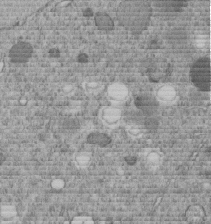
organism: C. elegans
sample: C. elegans embryo early stage